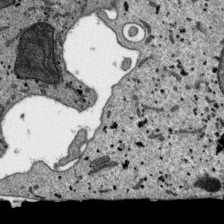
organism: Human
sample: Lung epithelial cells, uninfected (mock) control